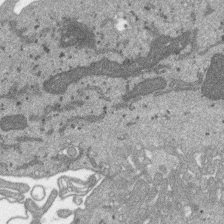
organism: Human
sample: Lung epithelial cells infected with SARS-CoV-2